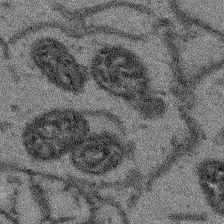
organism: Arabidopsis thaliana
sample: Root tip